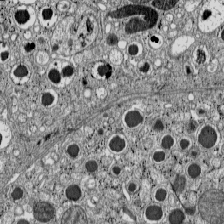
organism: C57BL Mouse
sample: Pancreatic islet